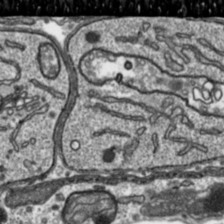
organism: Toxoplasma gondii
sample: Parasites in a vacuole inside a host cell